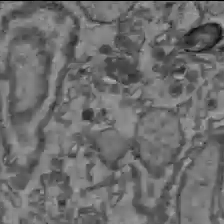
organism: C57BL Mouse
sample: Liver